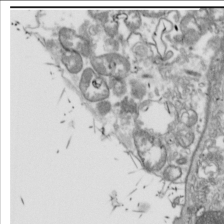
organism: Drosophila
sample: Cell division; meiosis; drosophila spermatocytes